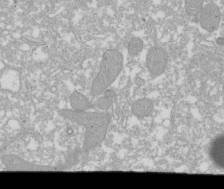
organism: Xenopus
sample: Cilia; centrioles in frog embryo cells